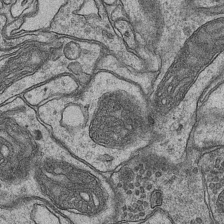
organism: Mouse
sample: CA1 Hippocampus